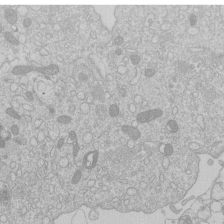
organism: Human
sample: Macrophage cells